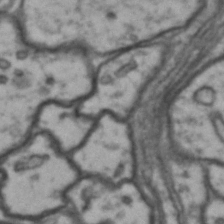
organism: Drosophila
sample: Brain